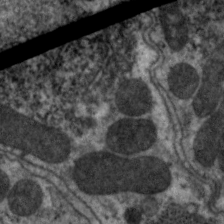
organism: C. elegans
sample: Pharynx